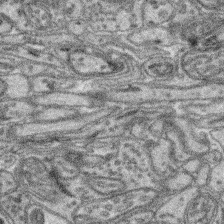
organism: Mouse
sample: Retina